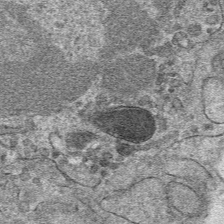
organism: Mouse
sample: Mouse hepatocytes